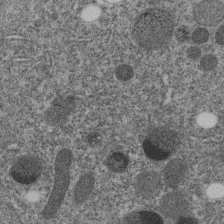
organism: C. elegans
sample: C. elegans embryo early stage